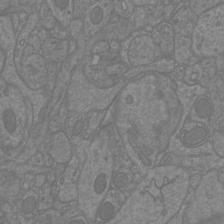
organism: Mouse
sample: Cortical neurons